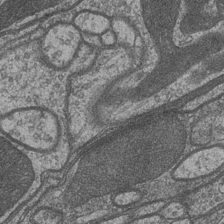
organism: Drosophila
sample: Optic medulla